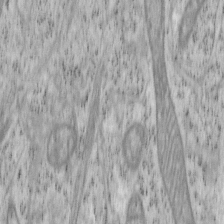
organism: Human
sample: HeLa cells